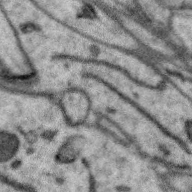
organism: Zebra finch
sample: Brain